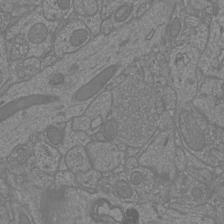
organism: Mouse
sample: Cortical neurons